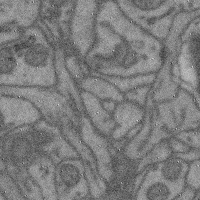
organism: Mouse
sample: Cerebral cortex